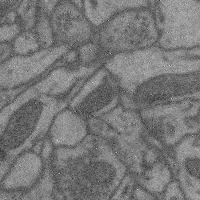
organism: Mouse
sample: Cerebral cortex